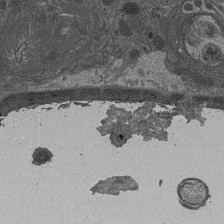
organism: Drosophila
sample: Antenna